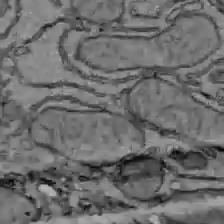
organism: C57BL Mouse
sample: Liver